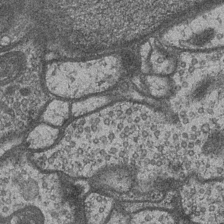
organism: Drosophila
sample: Optic medulla